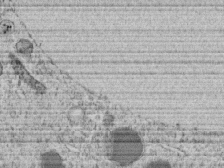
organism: C. elegans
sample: C. elegans embryo early stage